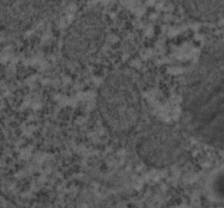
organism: C. elegans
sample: C. elegans embryo